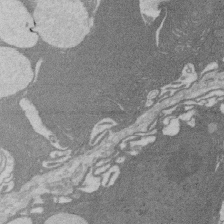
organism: Rat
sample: Salivary granule